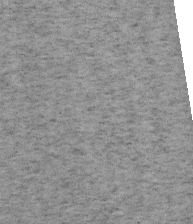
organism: Mouse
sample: OT-I killer T cells with ID8 ovarian cancer cells